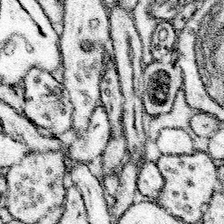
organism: Mouse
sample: Somatosensory cortex neuropil